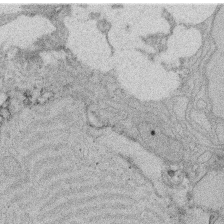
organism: Rat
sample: Salivary granule